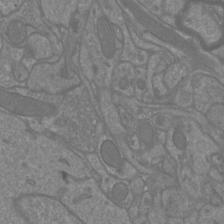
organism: Mouse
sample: Cortical neurons